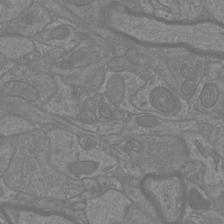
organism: Mouse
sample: Cortical neurons